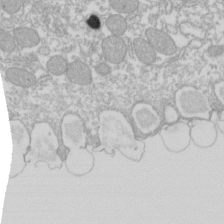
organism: Xenopus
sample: Cilia; centrioles in frog embryo cells